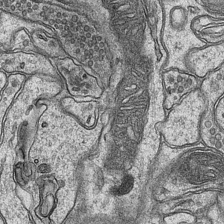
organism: Mouse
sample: CA1 Hippocampus